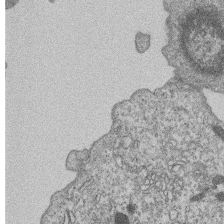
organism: Human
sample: MDA-MB-231 cells